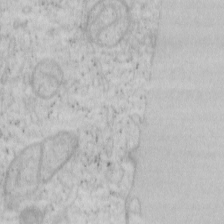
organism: Human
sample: HeLa cells